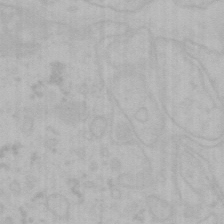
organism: Mouse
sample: Choroid plexus